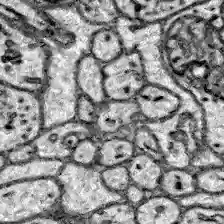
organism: Zebrafish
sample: Brain